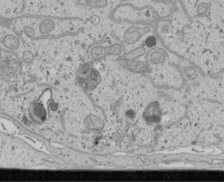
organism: Human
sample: Mitochondria in U2OS cells